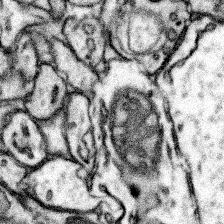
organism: Mouse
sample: Somatosensory cortex neuropil